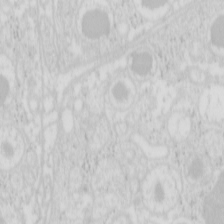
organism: Mouse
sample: Pancreas